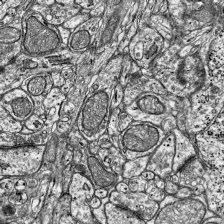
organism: Mouse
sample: Visual Cortex